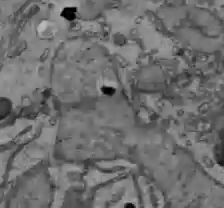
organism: C57BL Mouse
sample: Liver